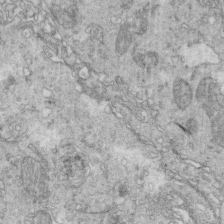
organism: Mouse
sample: Multiciliated cells